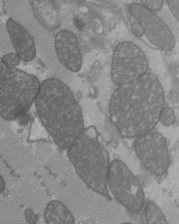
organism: C57BL Mouse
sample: Heart